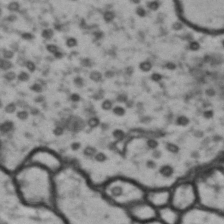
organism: Drosophila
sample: Brain